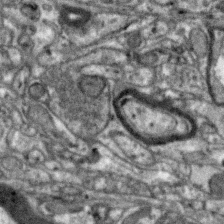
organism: Zebra finch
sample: Brain